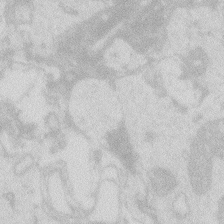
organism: Zebrafish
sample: Macrophage